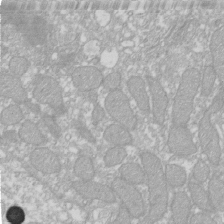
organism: Xenopus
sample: Cilia; centrioles in frog embryo cells